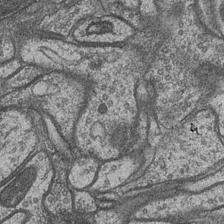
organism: Drosophila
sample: Optic medulla